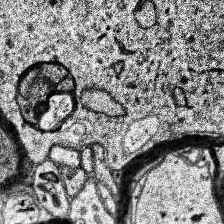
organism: Human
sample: Temporal Lobe